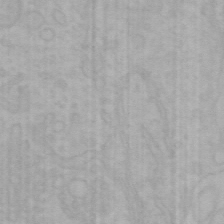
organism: Mouse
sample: Choroid plexus